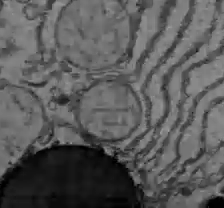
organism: C57BL Mouse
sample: Liver